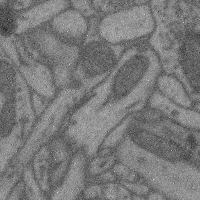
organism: Mouse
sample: Cerebral cortex